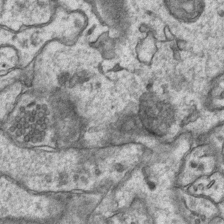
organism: Mouse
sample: CA1 Hippocampus